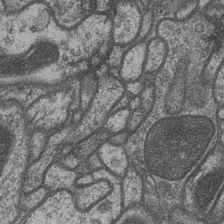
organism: Drosophila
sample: Optic medulla